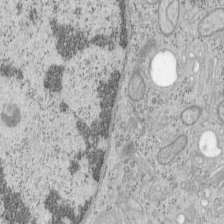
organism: Mouse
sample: OT-I killer T cells with ID8 ovarian cancer cells